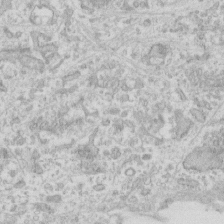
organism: Human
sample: Fibroblast cells